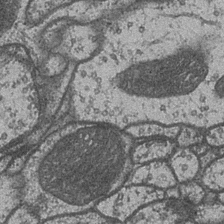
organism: Drosophila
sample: Optic medulla